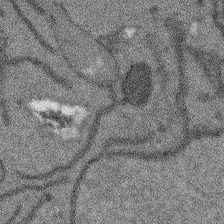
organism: Arabidopsis thaliana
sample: Root tip